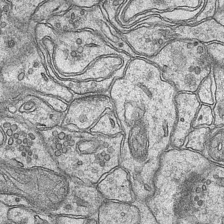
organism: Mouse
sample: CA1 Hippocampus